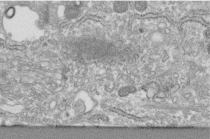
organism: Human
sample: Centriole in fibroblast cells